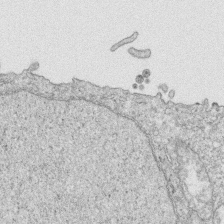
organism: Human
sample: HeLa cell HIV synapse